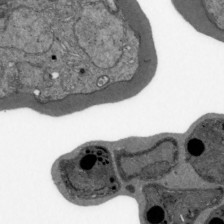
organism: Plasmodium falciparum